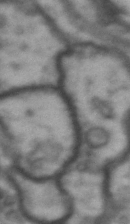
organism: Drosophila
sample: Brain